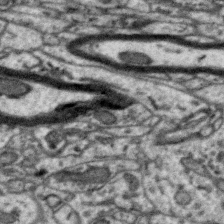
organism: Zebra finch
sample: Brain